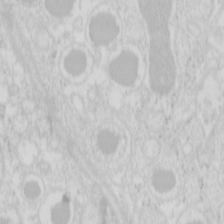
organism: Mouse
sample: Pancreas